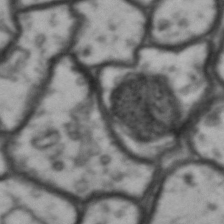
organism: Drosophila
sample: Brain